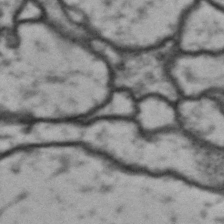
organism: Drosophila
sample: Brain